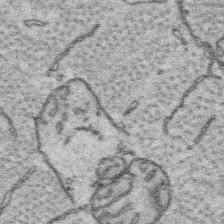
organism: Platynereis dumerilii